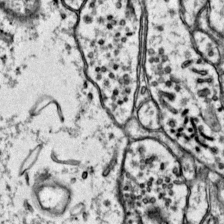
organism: Mouse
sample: Primary visual cortex